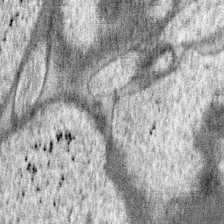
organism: Human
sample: HeLa cells